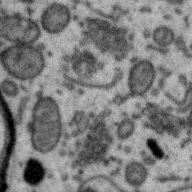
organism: Zebra finch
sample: Brain